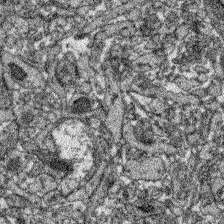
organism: Zebrafish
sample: Larval olfactory bulb